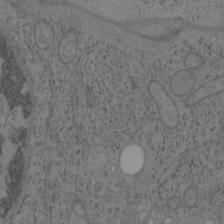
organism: Mouse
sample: OT-I killer T cells with ID8 ovarian cancer cells